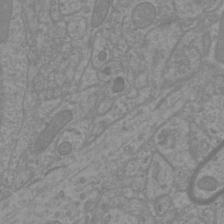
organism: Mouse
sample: Cortical neurons